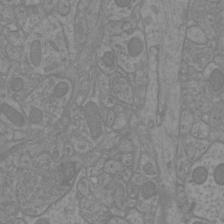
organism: Mouse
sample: Cortical neurons